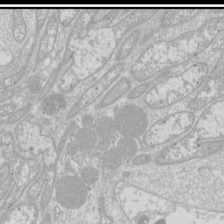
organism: Drosophila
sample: Cell division; meiosis; drosophila spermatocytes